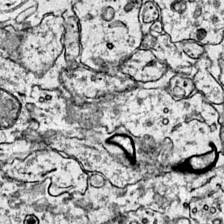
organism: Mouse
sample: Primary visual cortex